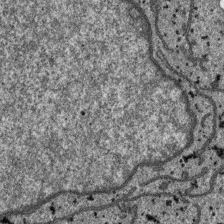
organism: Human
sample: Lung epithelial cells infected with SARS-CoV-2